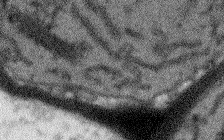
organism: Arabidopsis thaliana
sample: Root tip